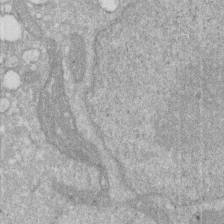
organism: Human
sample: HIV infected U937 cells